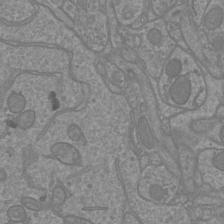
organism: Mouse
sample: Cortical neurons